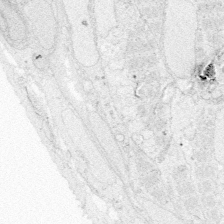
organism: Zebrafish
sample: Whole-Brain